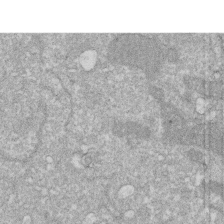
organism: Human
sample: HIV infected U937 cells